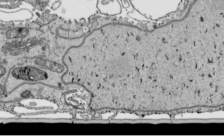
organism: Human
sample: Mitochondria in HCT116 cells